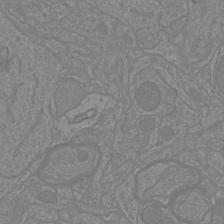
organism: Mouse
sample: Cortical neurons